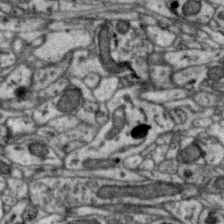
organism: Zebra finch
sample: Brain